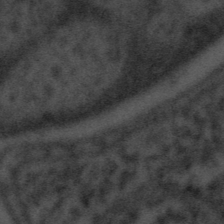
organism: Tuwongella immobilis